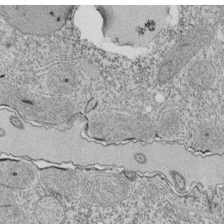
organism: Tetrahymena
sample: Cilia in tetrahymena